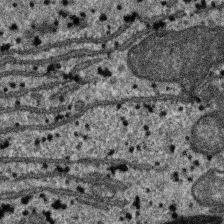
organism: Human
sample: Lung epithelial cells infected with SARS-CoV-2